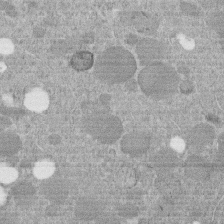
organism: C. elegans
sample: C. elegans embryo early stage